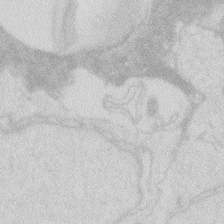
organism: Zebrafish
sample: Macrophage